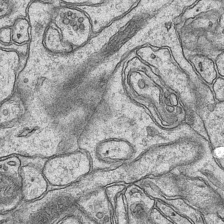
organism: Mouse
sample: CA1 Hippocampus